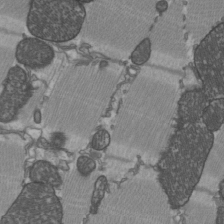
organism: C57BL Mouse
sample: Heart